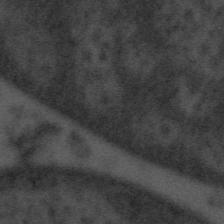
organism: Tuwongella immobilis